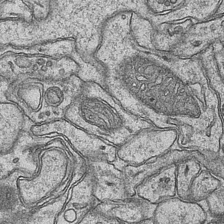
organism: Mouse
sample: CA1 Hippocampus